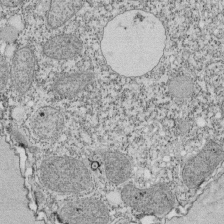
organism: Tetrahymena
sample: Cilia in tetrahymena